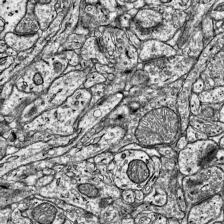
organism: Mouse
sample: Visual Cortex